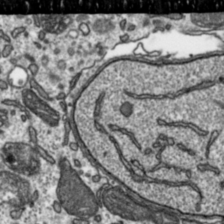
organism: Toxoplasma gondii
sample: Parasites in a vacuole inside a host cell